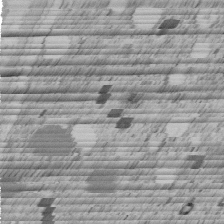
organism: C. elegans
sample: C. elegans embryo early stage